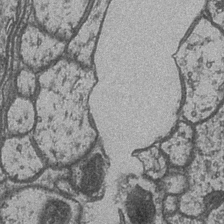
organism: Drosophila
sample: Optic medulla